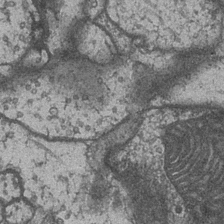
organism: Drosophila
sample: Optic medulla